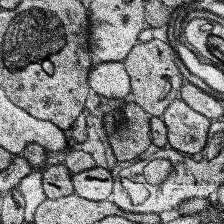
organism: Human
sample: Temporal Lobe